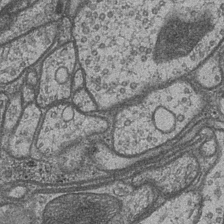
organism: Drosophila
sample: Optic medulla